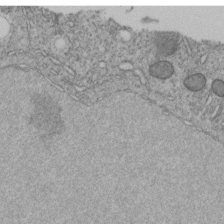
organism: C. elegans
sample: C. elegans embryo early stage